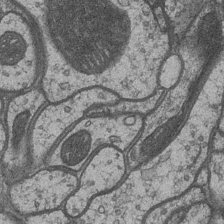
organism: Drosophila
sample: Optic medulla